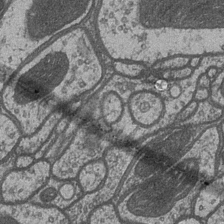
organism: Drosophila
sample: Optic medulla